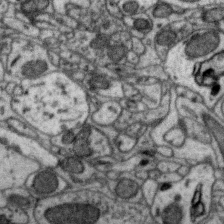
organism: Zebra finch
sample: Brain